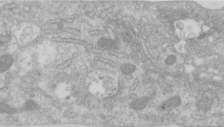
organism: Human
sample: Centriole in RPE cells